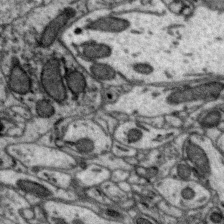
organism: Zebra finch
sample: Brain